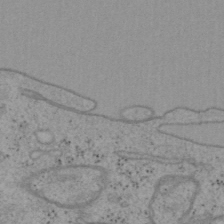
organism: Human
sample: HeLa cells